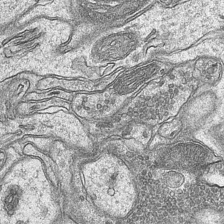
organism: Mouse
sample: CA1 Hippocampus